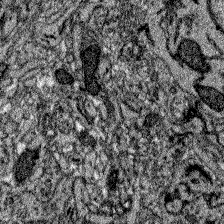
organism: Zebrafish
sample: Larval olfactory bulb